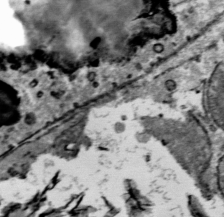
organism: Mouse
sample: Mouse Salivary gland